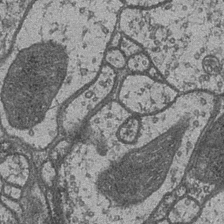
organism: Drosophila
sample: Optic medulla